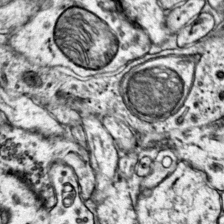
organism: Mouse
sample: Primary visual cortex